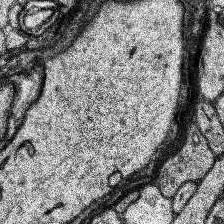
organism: Human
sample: Temporal Lobe